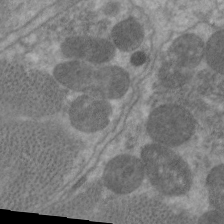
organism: C. elegans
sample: Pharynx